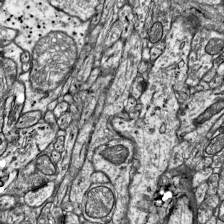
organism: Mouse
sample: Visual Cortex